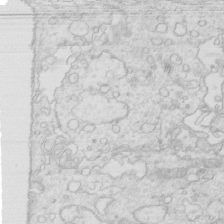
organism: Mouse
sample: Multiciliated cells